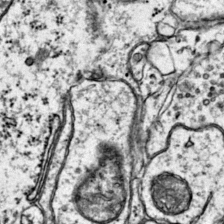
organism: Mouse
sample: Primary visual cortex